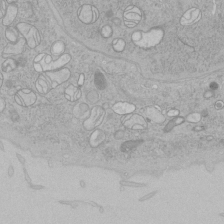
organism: Human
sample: Mitochondria in HCT116 cells